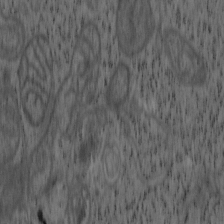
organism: Human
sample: HeLa cells